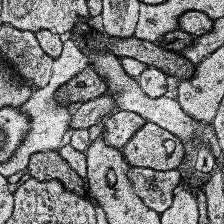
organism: Human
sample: Temporal Lobe